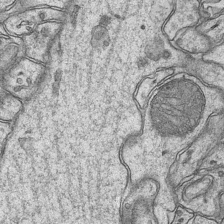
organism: Mouse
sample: CA1 Hippocampus